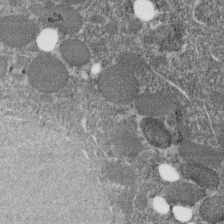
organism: C. elegans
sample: C. elegans embryo early stage